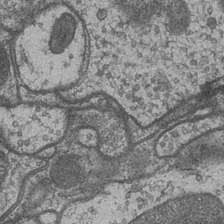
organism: Drosophila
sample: Optic medulla